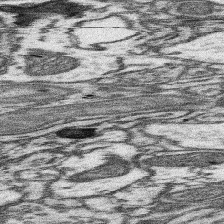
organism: Mouse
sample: Somatosensory cortex neuropil